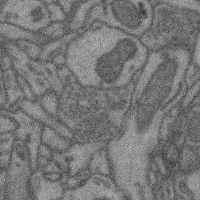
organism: Mouse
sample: Cerebral cortex